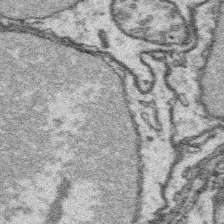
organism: Platynereis dumerilii